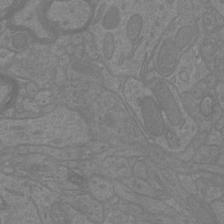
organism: Mouse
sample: Cortical neurons